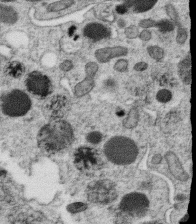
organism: C. elegans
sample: C. elegans oocyte; sperm cells